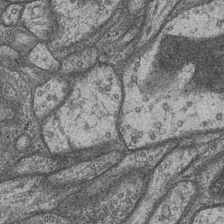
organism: Drosophila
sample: Optic medulla